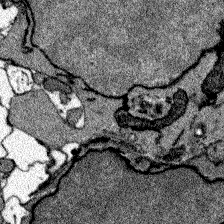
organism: Zebrafish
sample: Larval olfactory bulb